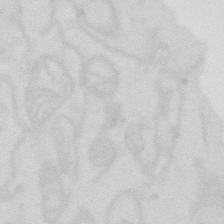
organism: Human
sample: HeLa cells